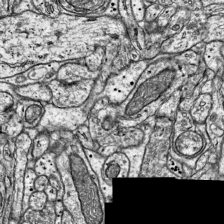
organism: Mouse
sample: Visual Cortex